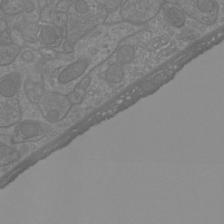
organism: Mouse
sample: Cortical neurons